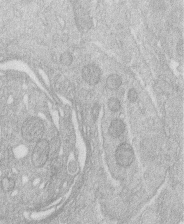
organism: Human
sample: Macrophage cells